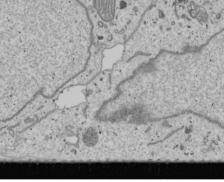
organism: Human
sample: Mitochondria in U2OS cells